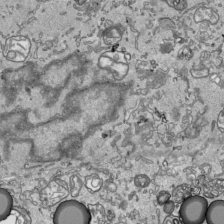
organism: Human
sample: Mitochondria in HCT116 cells